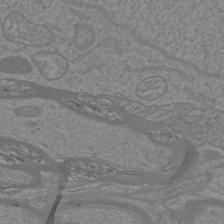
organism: Mouse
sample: Cortical neurons